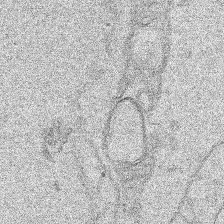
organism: Human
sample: Mitochondria in HCT116 cells